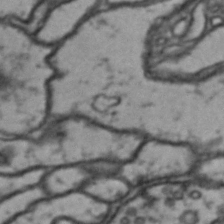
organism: Drosophila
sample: Brain